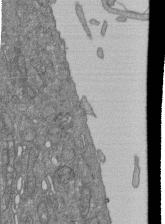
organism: Human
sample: Retinal organoid Rod and Cone cells